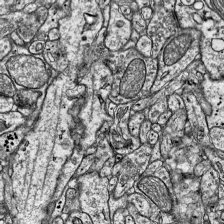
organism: Mouse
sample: Visual Cortex